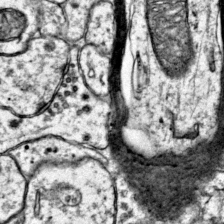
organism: Mouse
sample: Primary visual cortex